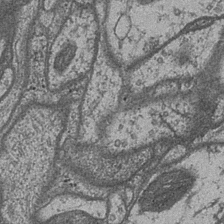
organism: Drosophila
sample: Optic medulla